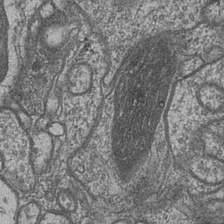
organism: Drosophila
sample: Optic medulla